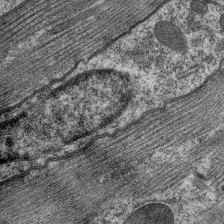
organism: C. elegans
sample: Pharynx